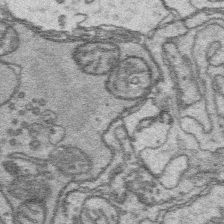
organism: Platynereis dumerilii